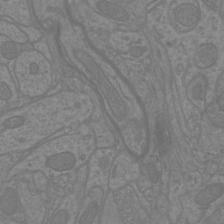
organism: Mouse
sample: Cortical neurons